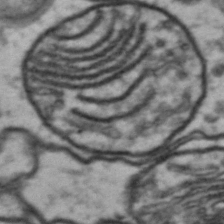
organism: Drosophila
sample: Brain